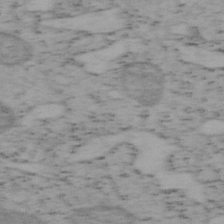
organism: Mouse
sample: OT-I killer T cells with ID8 ovarian cancer cells